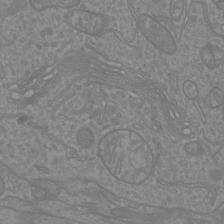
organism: Mouse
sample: Cortical neurons